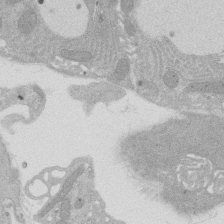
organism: Rat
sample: Salivary granule